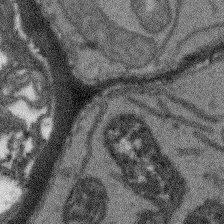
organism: Arabidopsis thaliana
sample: Root tip